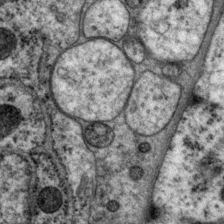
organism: P. pacificus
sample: Pharynx